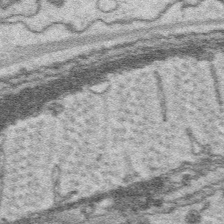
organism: Platynereis dumerilii